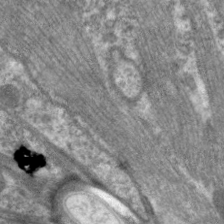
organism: C. elegans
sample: Pharynx